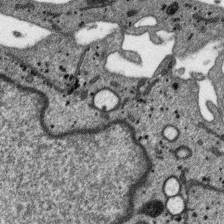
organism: Human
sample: Lung epithelial cells infected with SARS-CoV-2